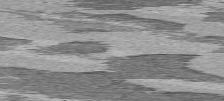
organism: C57BL Mouse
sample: Heart